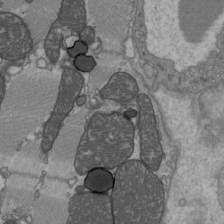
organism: C57BL Mouse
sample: Heart